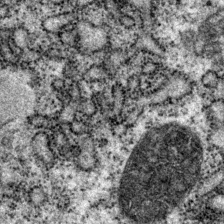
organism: P. pacificus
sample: Pharynx